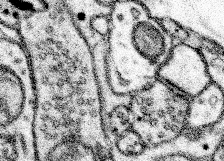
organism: Mouse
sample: Somatosensory cortex neuropil